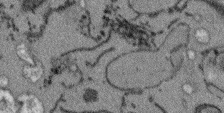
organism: Arabidopsis thaliana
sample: Root tip